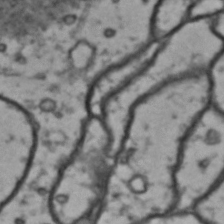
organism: Drosophila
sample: Brain